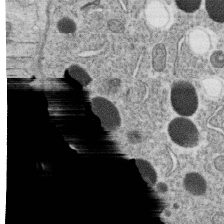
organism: C. elegans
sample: C. elegans oocyte; sperm cells